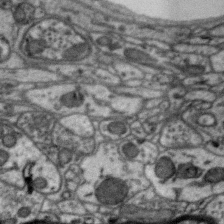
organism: Zebra finch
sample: Brain